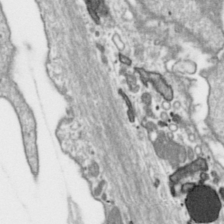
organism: Toxoplasma gondii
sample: Parasites in a vacuole inside a host cell